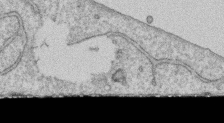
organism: Human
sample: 1205lu cells